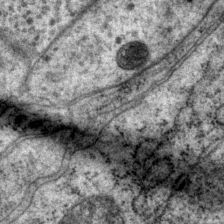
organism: P. pacificus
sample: Pharynx